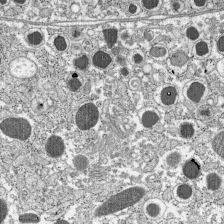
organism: C57BL Mouse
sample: Pancreatic islet